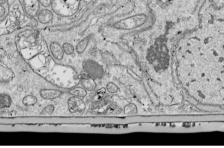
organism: Drosophila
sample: Cell division; meiosis; drosophila spermatocytes